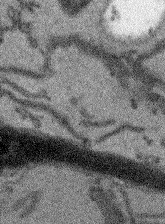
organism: Arabidopsis thaliana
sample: Root tip